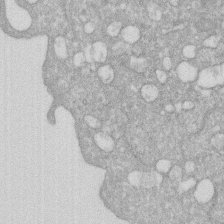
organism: Human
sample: HIV infected U937 cells